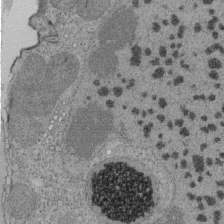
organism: Tetrahymena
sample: Cilia in tetrahymena